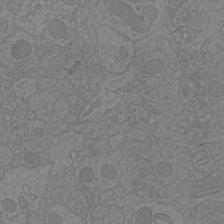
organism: Mouse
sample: Cortical neurons